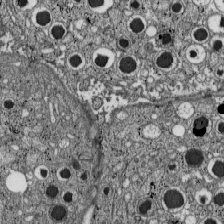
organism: C57BL Mouse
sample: Pancreatic islet